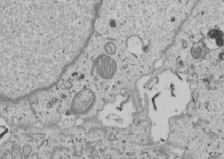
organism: Human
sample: Mitochondria in U2OS cells